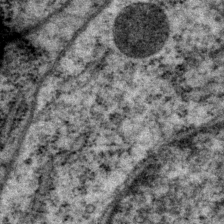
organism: P. pacificus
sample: Pharynx